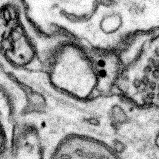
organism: Mouse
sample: Somatosensory cortex neuropil